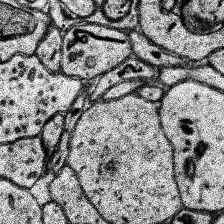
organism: Human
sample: Temporal Lobe